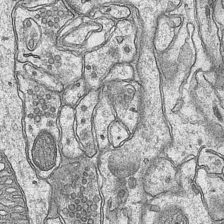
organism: Mouse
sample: CA1 Hippocampus